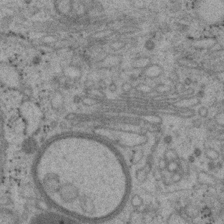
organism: Human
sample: HeLa cells